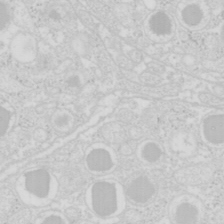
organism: Mouse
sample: Pancreas